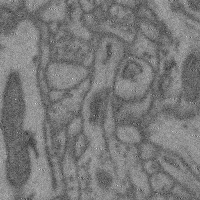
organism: Mouse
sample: Cerebral cortex